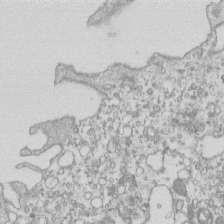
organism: Mouse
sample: Macrophages